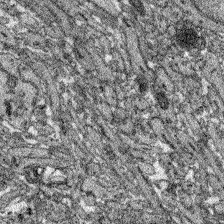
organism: Zebrafish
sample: Larval olfactory bulb